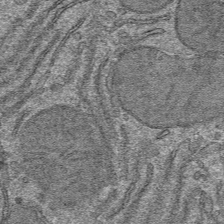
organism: Mouse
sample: Mouse hepatocytes